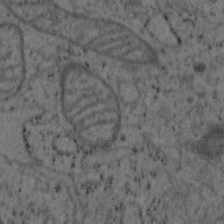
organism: Human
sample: HeLa cells